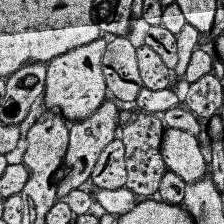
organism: Human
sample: Temporal Lobe